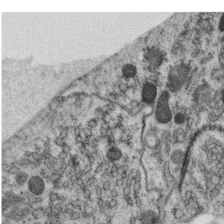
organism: C. elegans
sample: C. elegans oocyte; sperm cells